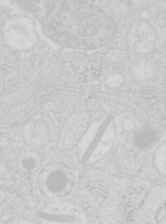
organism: Mouse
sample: Pancreas